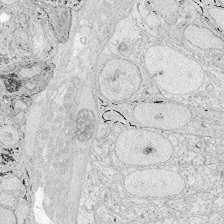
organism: Zebrafish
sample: Whole-Brain